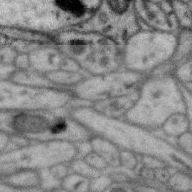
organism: Zebra finch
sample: Brain